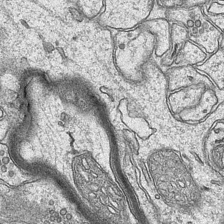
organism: Mouse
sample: CA1 Hippocampus